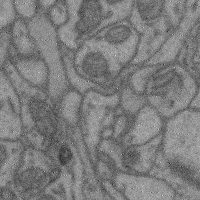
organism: Mouse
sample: Cerebral cortex